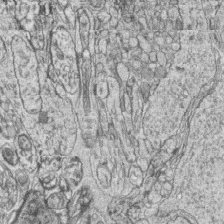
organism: Zebrafish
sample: synaptic ribbons in rod cells and cone cells